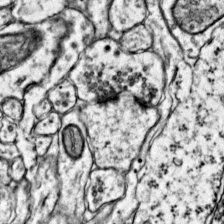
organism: Mouse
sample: Primary visual cortex